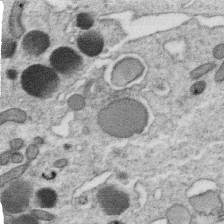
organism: C. elegans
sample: C. elegans oocyte; sperm cells